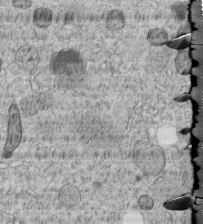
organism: C. elegans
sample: C. elegans embryo early stage